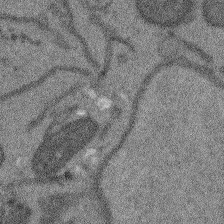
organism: Arabidopsis thaliana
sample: Root tip